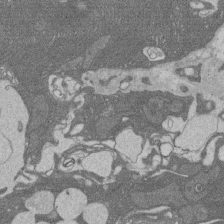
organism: Rat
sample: Salivary granule